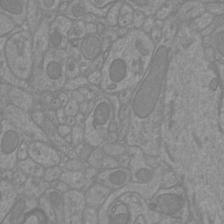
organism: Mouse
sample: Cortical neurons